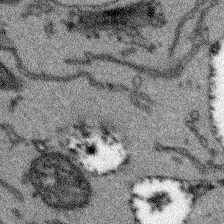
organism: Arabidopsis thaliana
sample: Root tip